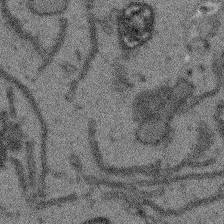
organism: Arabidopsis thaliana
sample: Root tip